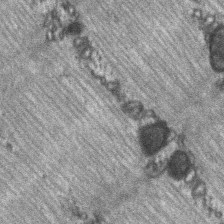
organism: C57BL Mouse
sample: Soleus